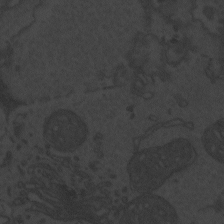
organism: Zebrafish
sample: Macrophage infected with Toxoplasma gondii